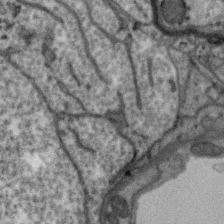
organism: Zebra finch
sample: Brain